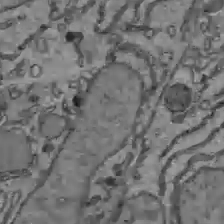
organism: C57BL Mouse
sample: Liver